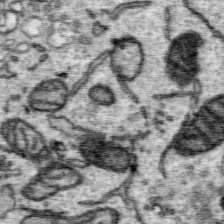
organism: Human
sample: HeLa cells